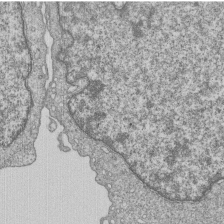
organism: Human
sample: MDA-MB-231 cells